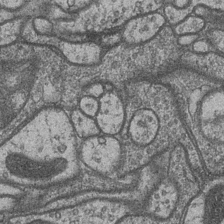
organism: Drosophila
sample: Optic medulla